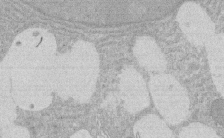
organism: Rat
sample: Salivary granule